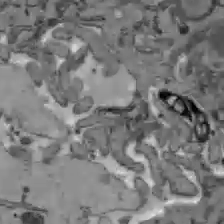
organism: C57BL Mouse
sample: Liver